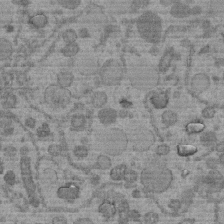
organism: C. elegans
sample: C. elegans embryo early stage